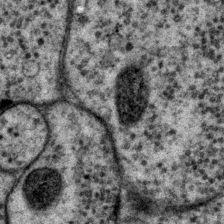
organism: P. pacificus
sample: Pharynx